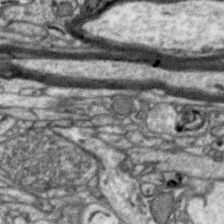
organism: Zebra finch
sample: Brain